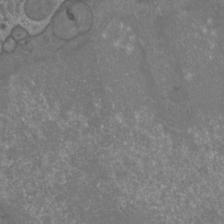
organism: Mouse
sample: Cortical neurons